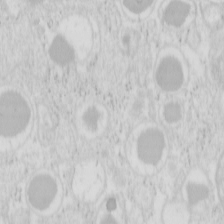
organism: Mouse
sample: Pancreas